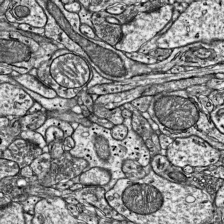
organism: Mouse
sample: Visual Cortex